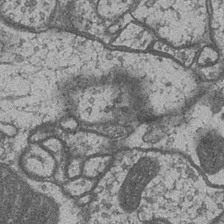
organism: Drosophila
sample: Optic medulla